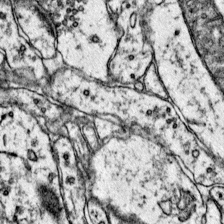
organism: Mouse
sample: Primary visual cortex